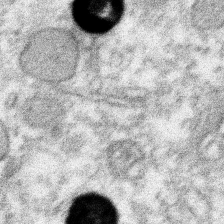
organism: Xenopus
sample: Cilia; centrioles in frog embryo cells